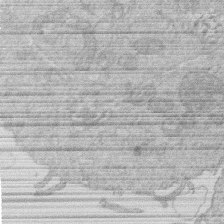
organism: Human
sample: Macrophage cells